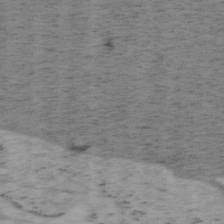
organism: Mouse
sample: OT-I killer T cells with ID8 ovarian cancer cells